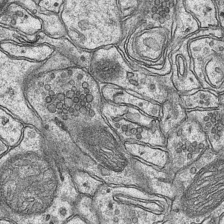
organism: Mouse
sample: CA1 Hippocampus